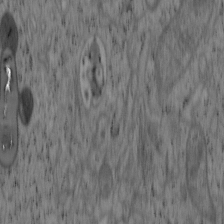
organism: Human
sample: HeLa cells